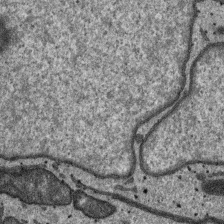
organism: Human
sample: Lung epithelial cells, uninfected (mock) control